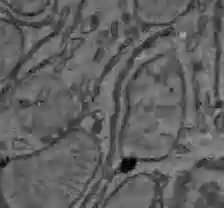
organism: C57BL Mouse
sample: Liver